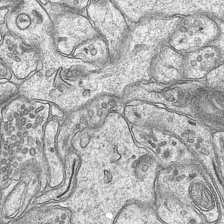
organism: Mouse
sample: CA1 Hippocampus